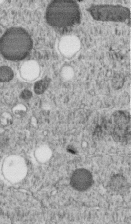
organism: C. elegans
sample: C. elegans embryo early stage